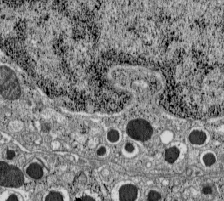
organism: C57BL Mouse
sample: Pancreatic islet